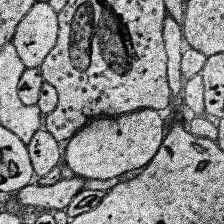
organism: Human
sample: Temporal Lobe